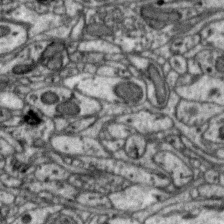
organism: Zebra finch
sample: Brain